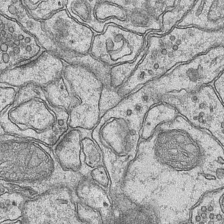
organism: Mouse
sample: CA1 Hippocampus